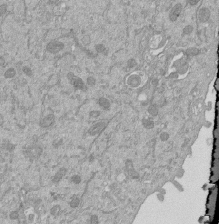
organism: Mouse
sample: ED-1 cell nuclei; centrioles